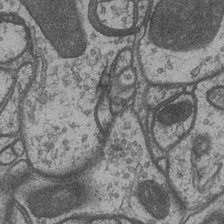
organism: Drosophila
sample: Optic medulla